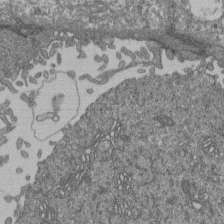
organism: Human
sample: Retinal organoid Rod and Cone cells